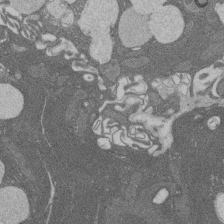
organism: Rat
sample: Salivary granule